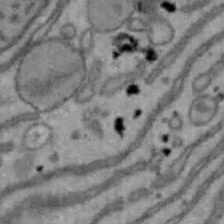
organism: Mouse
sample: Liver